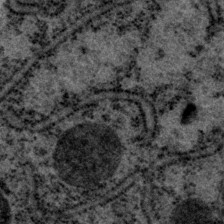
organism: P. pacificus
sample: Pharynx